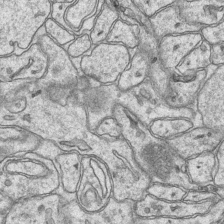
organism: Mouse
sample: CA1 Hippocampus